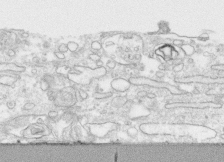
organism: Human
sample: CRL-1474